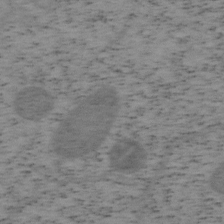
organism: Mouse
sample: OT-I killer T cells with ID8 ovarian cancer cells